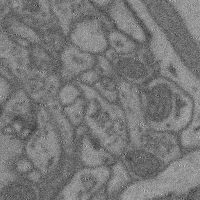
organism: Mouse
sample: Cerebral cortex